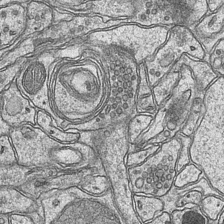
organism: Mouse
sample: CA1 Hippocampus